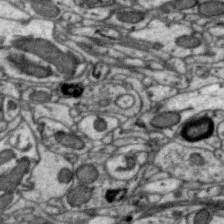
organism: Zebra finch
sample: Brain